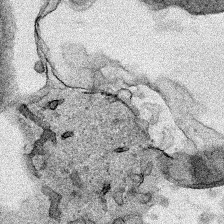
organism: Human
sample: Mitochondria in HCT116 cells